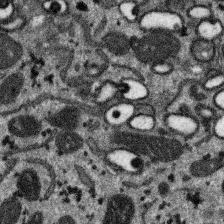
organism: Human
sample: Lung epithelial cells infected with SARS-CoV-2